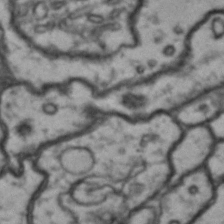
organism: Drosophila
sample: Brain